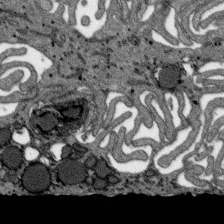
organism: Human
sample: Lung epithelial cells, uninfected (mock) control